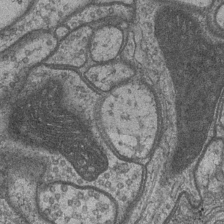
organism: Drosophila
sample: Optic medulla